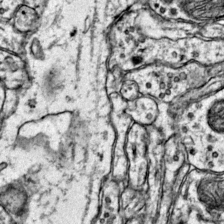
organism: Mouse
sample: Primary visual cortex